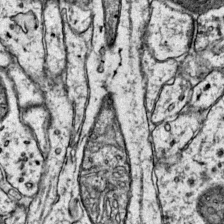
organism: Mouse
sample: Primary visual cortex